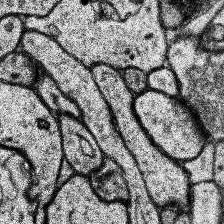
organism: Human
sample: Temporal Lobe